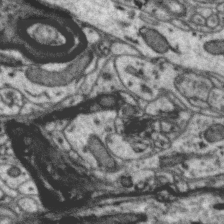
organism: Zebra finch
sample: Brain